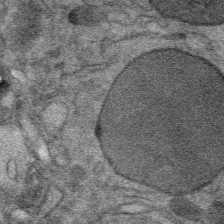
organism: Mouse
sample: Mouse Salivary gland